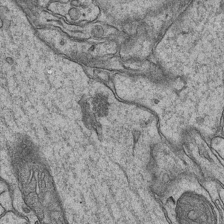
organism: Mouse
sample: CA1 Hippocampus